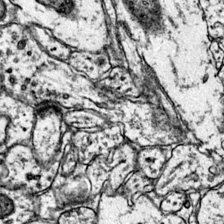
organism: Mouse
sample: Primary visual cortex